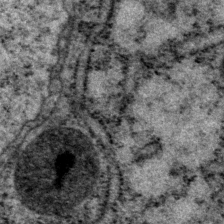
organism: P. pacificus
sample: Pharynx